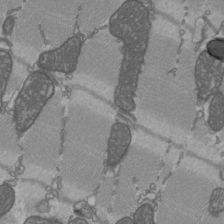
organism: C57BL Mouse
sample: Heart